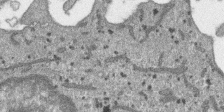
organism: Human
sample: Lung epithelial cells infected with SARS-CoV-2